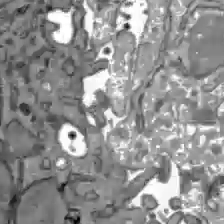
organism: C57BL Mouse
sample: Liver